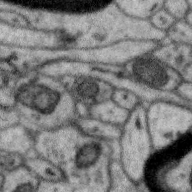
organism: Zebra finch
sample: Brain